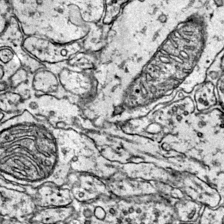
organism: Mouse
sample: Primary visual cortex